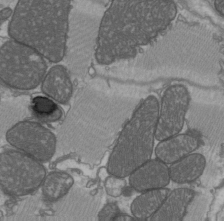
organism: C57BL Mouse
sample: Heart